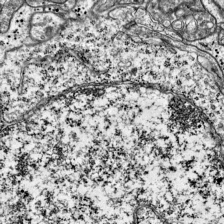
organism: Mouse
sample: Visual Cortex